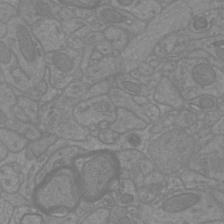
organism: Mouse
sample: Cortical neurons